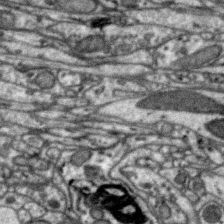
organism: Zebra finch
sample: Brain